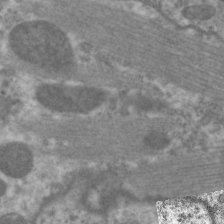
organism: C. elegans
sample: Pharynx